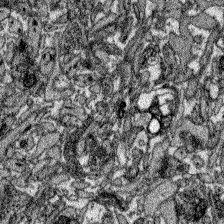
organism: Zebrafish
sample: Larval olfactory bulb